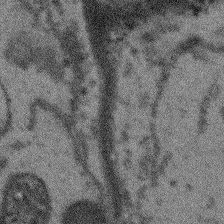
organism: Arabidopsis thaliana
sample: Root tip